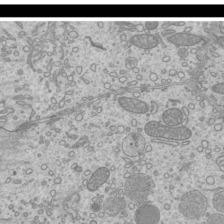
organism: Mouse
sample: Cilia; mouse epididymis